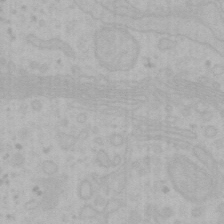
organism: Mouse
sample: Choroid plexus